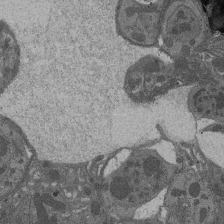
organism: Drosophila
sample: Antenna